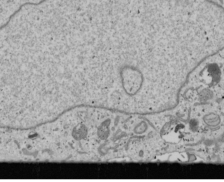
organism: Human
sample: Mitochondria in U2OS cells